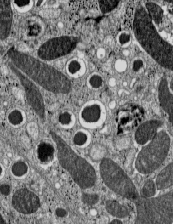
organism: C57BL Mouse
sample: Pancreatic islet